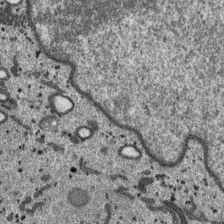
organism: Human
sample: Lung epithelial cells infected with SARS-CoV-2